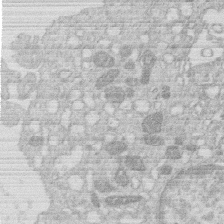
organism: Human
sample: Macrophage cells